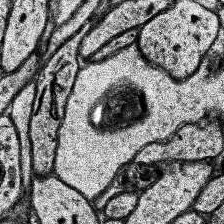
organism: Human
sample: Temporal Lobe